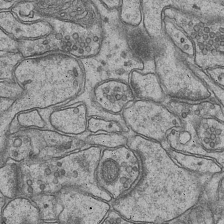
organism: Mouse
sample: CA1 Hippocampus